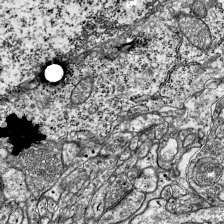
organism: Mouse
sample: Visual Cortex